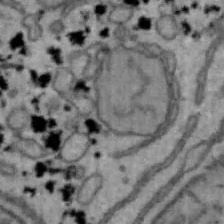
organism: Mouse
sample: Liver